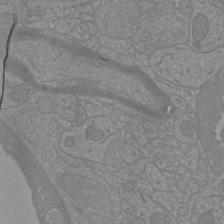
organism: Mouse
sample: Cortical neurons